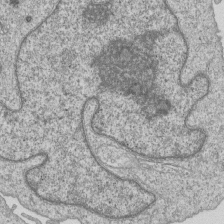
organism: Human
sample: MDA-MB-231 cells